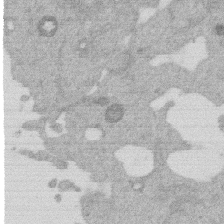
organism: Mouse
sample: Dividing mouse embryo 1 cell stage